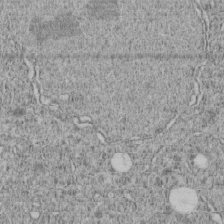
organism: C. elegans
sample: C. elegans embryo early stage